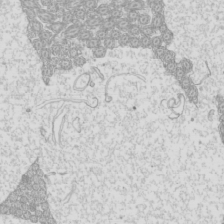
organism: Mouse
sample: Cilia; mouse epididymis